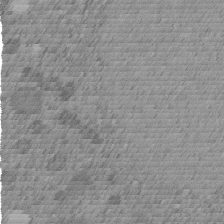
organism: C. elegans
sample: C. elegans embryo early stage